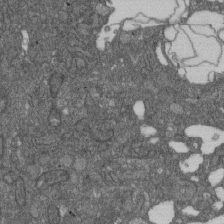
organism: Drosophila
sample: Nephrocyte